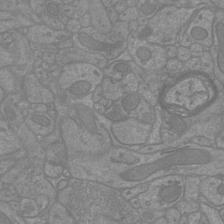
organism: Mouse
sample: Cortical neurons